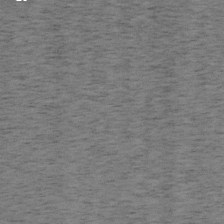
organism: Mouse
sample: OT-I killer T cells with ID8 ovarian cancer cells